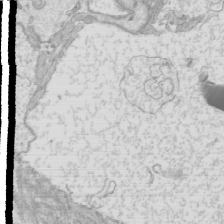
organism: Mouse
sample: Cilia; mouse epididymis